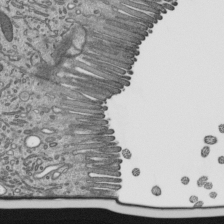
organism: Mouse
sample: Mouse epididymis efferent ductule cilia